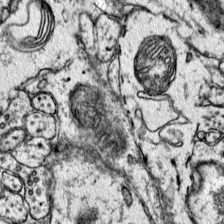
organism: Mouse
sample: Primary visual cortex